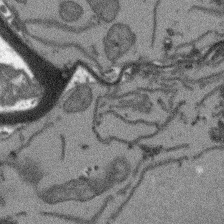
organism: Arabidopsis thaliana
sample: Root tip